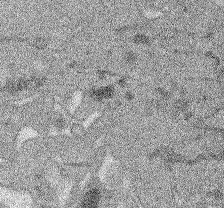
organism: Human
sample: HeLa cells